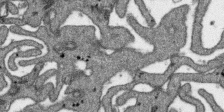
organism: Human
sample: Lung epithelial cells, uninfected (mock) control